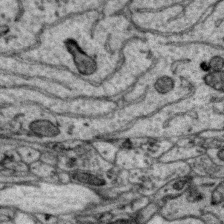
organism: Zebra finch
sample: Brain